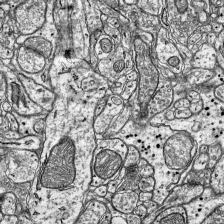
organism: Mouse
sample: Visual Cortex